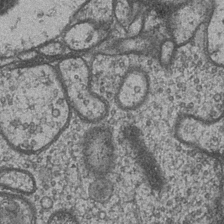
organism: Drosophila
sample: Optic medulla